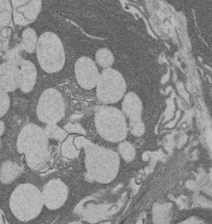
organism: Rat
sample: Salivary granule